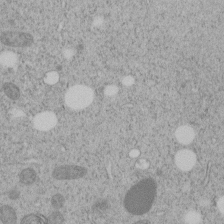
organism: C. elegans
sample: C. elegans embryo early stage